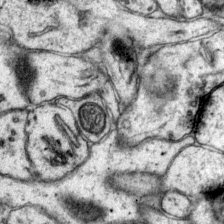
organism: Mouse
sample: Primary visual cortex